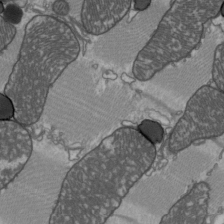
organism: C57BL Mouse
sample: Heart